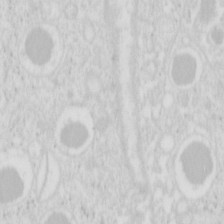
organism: Mouse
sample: Pancreas